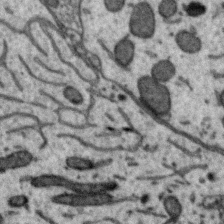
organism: Zebra finch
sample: Brain